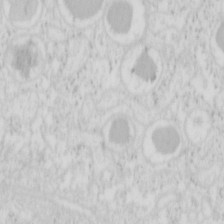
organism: Mouse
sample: Pancreas